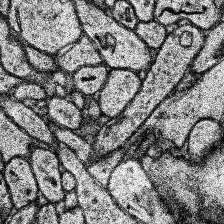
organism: Human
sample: Temporal Lobe